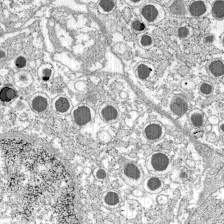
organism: C57BL Mouse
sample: Pancreatic islet